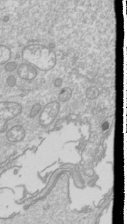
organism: Drosophila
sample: Cell division; meiosis; drosophila spermatocytes